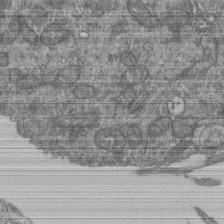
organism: Human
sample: Retinal organoid Rod and Cone cells